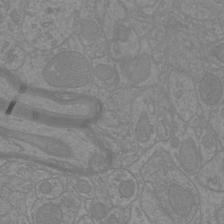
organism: Mouse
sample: Cortical neurons